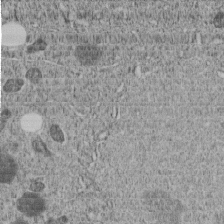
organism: C. elegans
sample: C. elegans embryo early stage